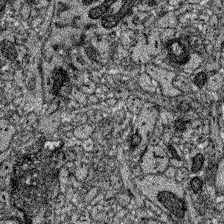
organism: Zebrafish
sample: Larval olfactory bulb